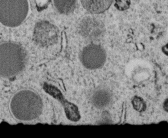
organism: C. elegans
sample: C. elegans embryo early stage